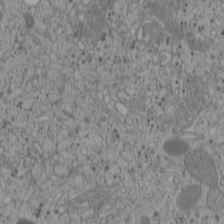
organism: African green monkey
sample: COS-7 cells